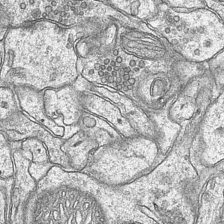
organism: Mouse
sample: CA1 Hippocampus